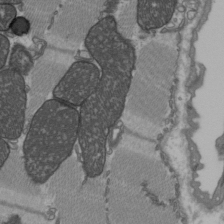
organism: C57BL Mouse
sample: Heart